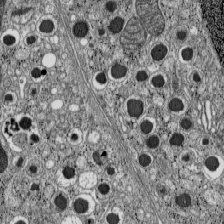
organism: C57BL Mouse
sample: Pancreatic islet